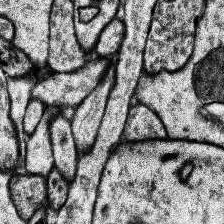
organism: Human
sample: Temporal Lobe